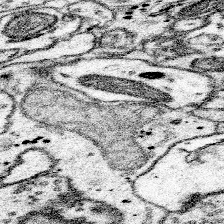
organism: Mouse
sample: Somatosensory cortex neuropil